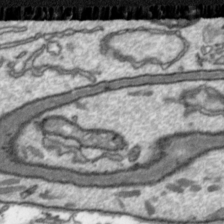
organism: Toxoplasma gondii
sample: Parasites in a vacuole inside a host cell